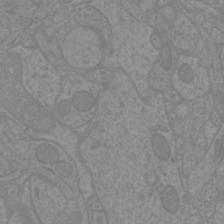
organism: Mouse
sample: Cortical neurons